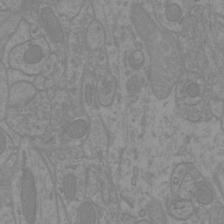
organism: Mouse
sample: Cortical neurons